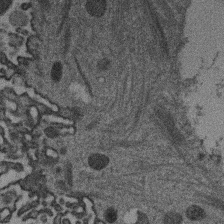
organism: Mouse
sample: Dividing mouse embryo 1 cell stage